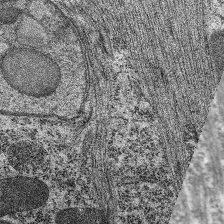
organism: C. elegans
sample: Pharynx